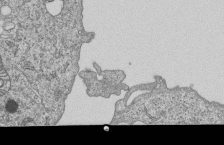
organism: Human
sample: MDA-MB-231 cells